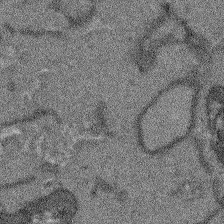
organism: Arabidopsis thaliana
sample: Root tip